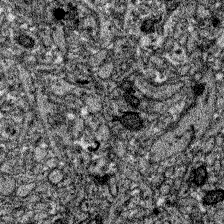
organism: Zebrafish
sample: Larval olfactory bulb